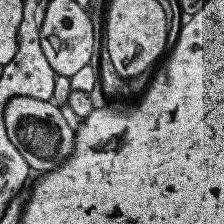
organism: Human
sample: Temporal Lobe